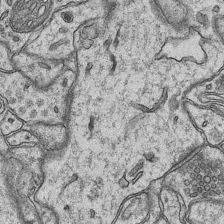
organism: Mouse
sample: CA1 Hippocampus